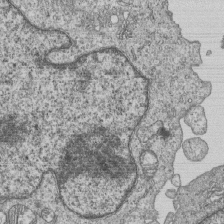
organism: Human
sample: MDA-MB-231 cells